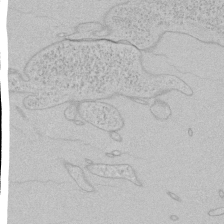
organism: Human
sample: Mitochondria in HCT116 cells